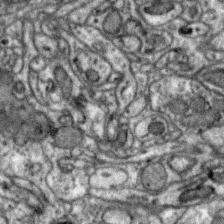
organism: Zebra finch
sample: Brain